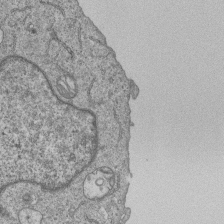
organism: Human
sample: MDA-MB-231 cells